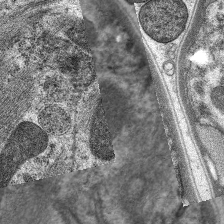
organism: C. elegans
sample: Pharynx